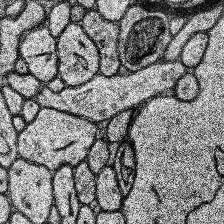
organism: Human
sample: Temporal Lobe